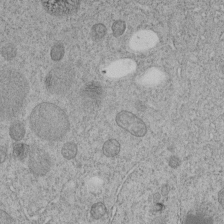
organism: C. elegans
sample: C. elegans embryo early stage